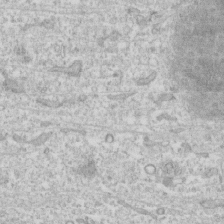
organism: Human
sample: CRL-1474